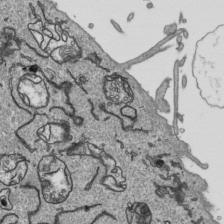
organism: Human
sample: Mitochondria in HCT116 cells